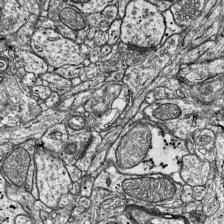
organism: Mouse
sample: Visual Cortex